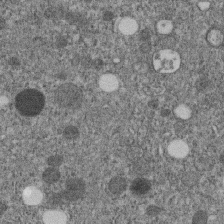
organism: C. elegans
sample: C. elegans embryo early stage